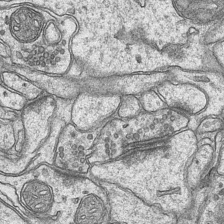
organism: Mouse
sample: CA1 Hippocampus